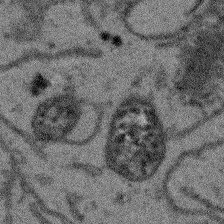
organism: Arabidopsis thaliana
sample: Root tip